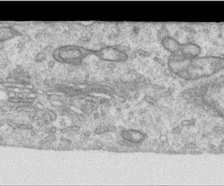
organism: Human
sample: Centriole in RPE cells